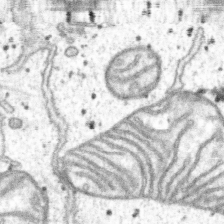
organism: Human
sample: HeLa cells